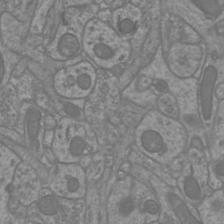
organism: Mouse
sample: Cortical neurons